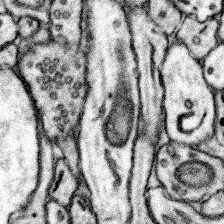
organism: Mouse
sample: Somatosensory cortex neuropil